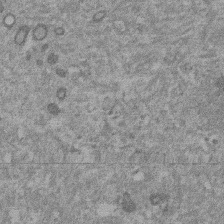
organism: Mouse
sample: Dividing mouse embryo 1 cell stage